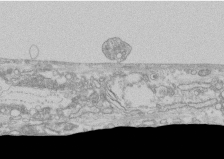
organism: Human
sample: CRL-1474